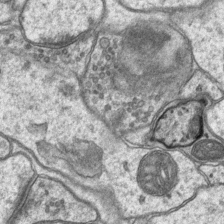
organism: Mouse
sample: CA1 Hippocampus